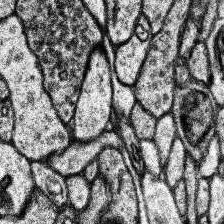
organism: Human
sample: Temporal Lobe